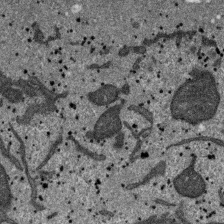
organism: Human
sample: Lung epithelial cells, uninfected (mock) control